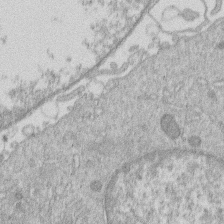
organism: Human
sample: Macrophage cells